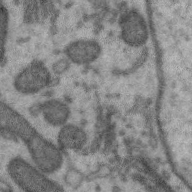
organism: Zebra finch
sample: Brain